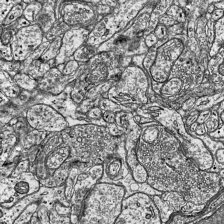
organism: Mouse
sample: Visual Cortex